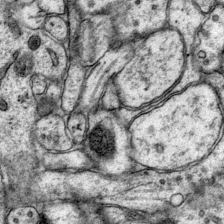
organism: Mouse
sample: Primary visual cortex